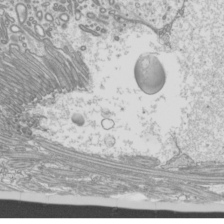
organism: Mouse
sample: Cilia; mouse epididymis